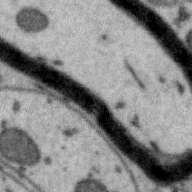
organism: Zebra finch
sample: Brain